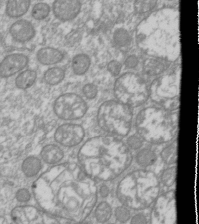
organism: Drosophila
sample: Cell division; meiosis; drosophila spermatocytes